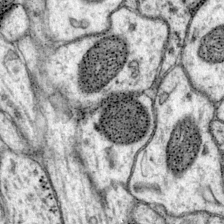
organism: Mouse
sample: Primary visual cortex